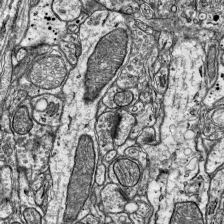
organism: Mouse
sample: Visual Cortex